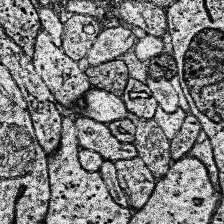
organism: Human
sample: Temporal Lobe